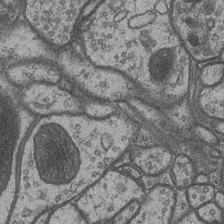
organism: Drosophila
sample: Optic medulla